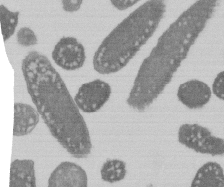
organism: E. coli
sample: Bacterial nucleoid